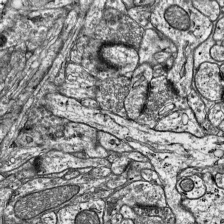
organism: Mouse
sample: Visual Cortex